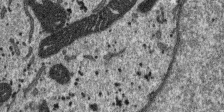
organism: Human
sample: Lung epithelial cells infected with SARS-CoV-2